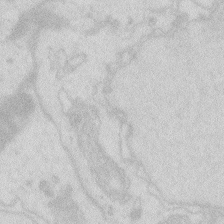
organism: Zebrafish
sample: Macrophage